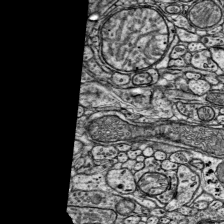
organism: Mouse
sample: Visual Cortex